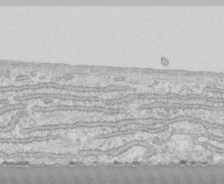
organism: Human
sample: CRL-1474